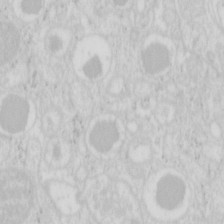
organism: Mouse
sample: Pancreas